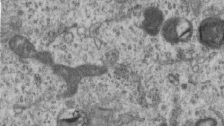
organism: Mouse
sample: Centriole in ependymal cells